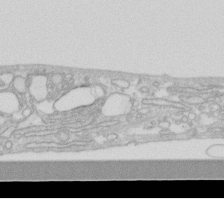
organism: Human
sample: Fibroblast cells